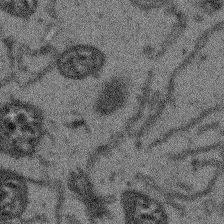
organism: Arabidopsis thaliana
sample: Root tip